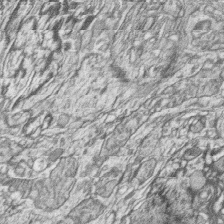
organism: Zebrafish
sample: synaptic ribbons in rod cells and cone cells